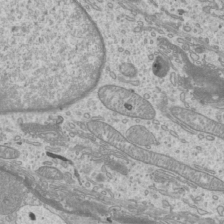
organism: Mouse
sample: Cilia; mouse epididymis